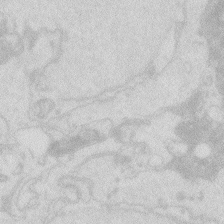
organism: Zebrafish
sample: Macrophage